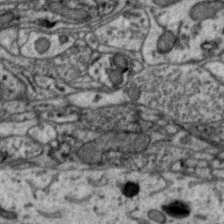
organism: Zebra finch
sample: Brain